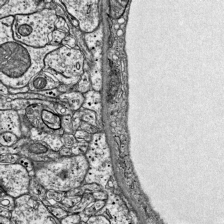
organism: Mouse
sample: Visual Cortex